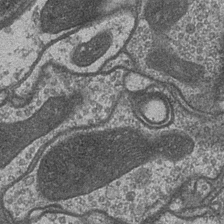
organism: Drosophila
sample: Optic medulla